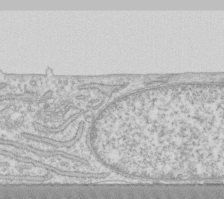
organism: Human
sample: Fibroblast cells